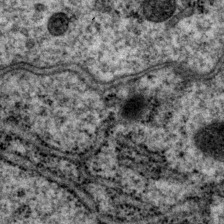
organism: P. pacificus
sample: Pharynx